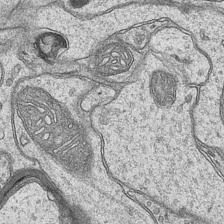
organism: Mouse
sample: CA1 Hippocampus